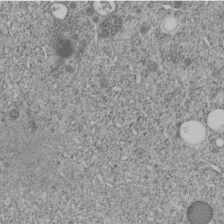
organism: C. elegans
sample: C. elegans embryo early stage